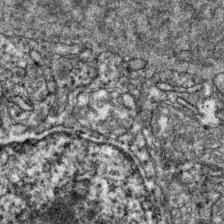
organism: Zebrafish